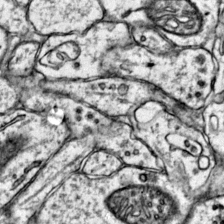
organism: Mouse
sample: Primary visual cortex